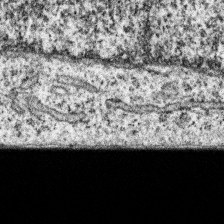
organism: Human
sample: HeLa cells